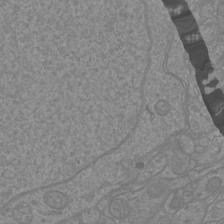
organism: Mouse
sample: Cortical neurons